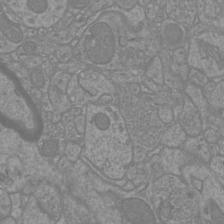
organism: Mouse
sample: Cortical neurons